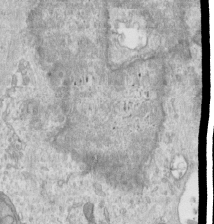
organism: Human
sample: Centriole in RPE cells